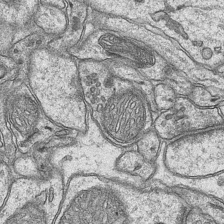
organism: Mouse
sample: CA1 Hippocampus